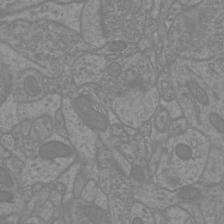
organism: Mouse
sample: Cortical neurons